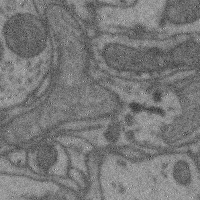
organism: Mouse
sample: Cerebral cortex